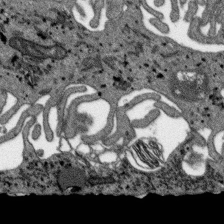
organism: Human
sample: Lung epithelial cells, uninfected (mock) control